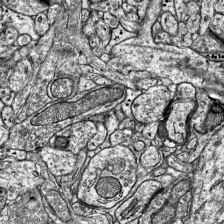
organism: Mouse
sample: Visual Cortex